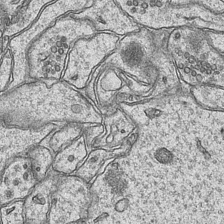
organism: Mouse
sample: CA1 Hippocampus